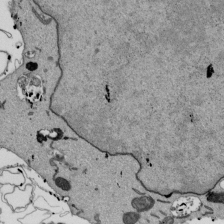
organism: Mouse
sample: ED-1 cell nuclei; centrioles